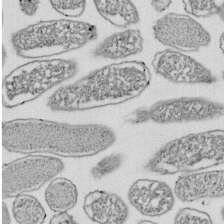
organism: E. coli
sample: Bacterial nucleoid